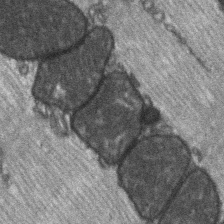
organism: C57BL Mouse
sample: Soleus